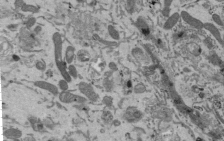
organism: Mouse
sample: ED-1 cell nuclei; centrioles